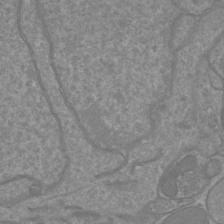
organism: Mouse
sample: Cortical neurons